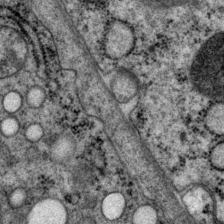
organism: P. pacificus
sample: Pharynx